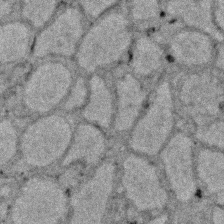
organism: Zebrafish